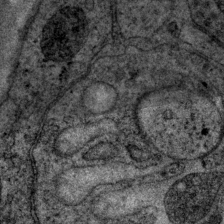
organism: P. pacificus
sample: Pharynx